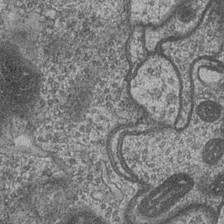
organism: Drosophila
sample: Optic medulla